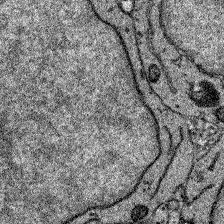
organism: Zebrafish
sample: Larval olfactory bulb